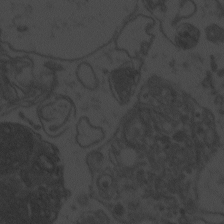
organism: Zebrafish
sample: Macrophage infected with Toxoplasma gondii